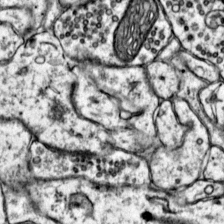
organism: Mouse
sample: Primary visual cortex